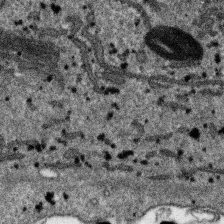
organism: Human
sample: Lung epithelial cells infected with SARS-CoV-2